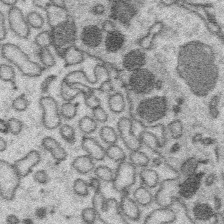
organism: Platynereis dumerilii